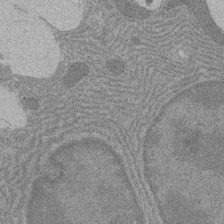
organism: Rat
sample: Salivary granule